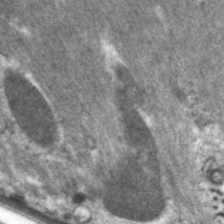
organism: C. elegans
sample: Pharynx